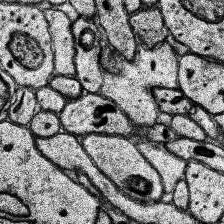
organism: Human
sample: Temporal Lobe